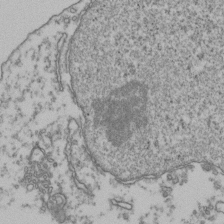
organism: Human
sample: Activated Jurkat CD4+ T cells